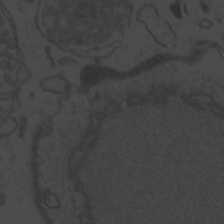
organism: Zebrafish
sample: Macrophage infected with Toxoplasma gondii